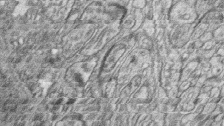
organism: Zebrafish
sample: synaptic ribbons in rod cells and cone cells